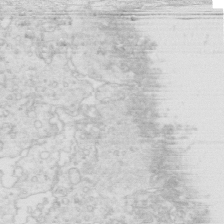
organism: Mouse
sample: Multiciliated cells